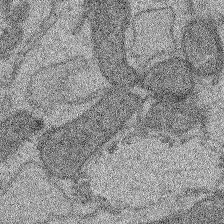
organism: Human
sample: HeLa cells